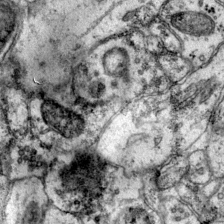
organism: Mouse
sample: Primary visual cortex